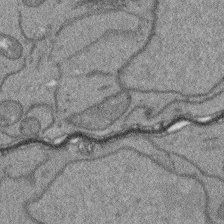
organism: Arabidopsis thaliana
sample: Root tip